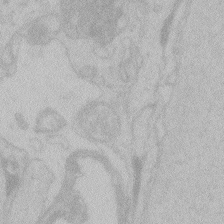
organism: Zebrafish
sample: Macrophage infected with Toxoplasma gondii